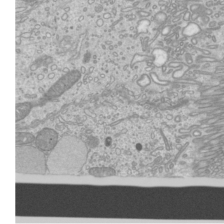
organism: Mouse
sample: Cilia; mouse epididymis